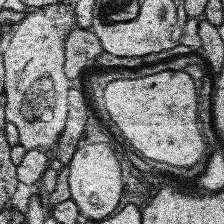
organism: Human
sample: Temporal Lobe